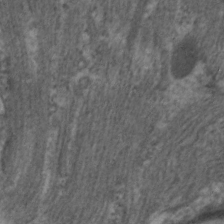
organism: C. elegans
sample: Pharynx